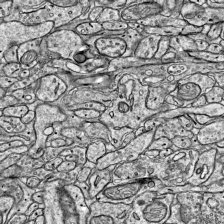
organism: Mouse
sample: Visual Cortex